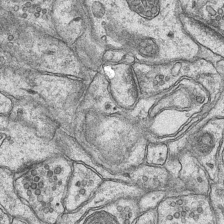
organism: Mouse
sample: CA1 Hippocampus